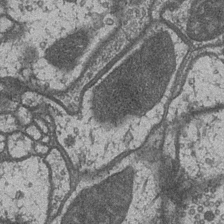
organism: Drosophila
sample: Optic medulla